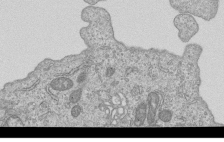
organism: Human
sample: MDA-MB-231 cells